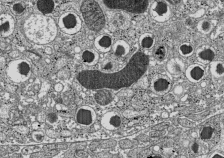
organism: C57BL Mouse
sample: Pancreatic islet